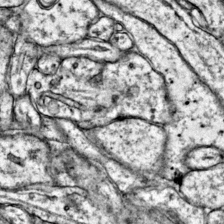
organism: Mouse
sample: Primary visual cortex